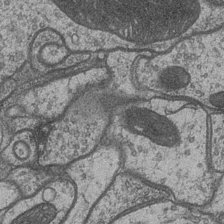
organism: Drosophila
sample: Optic medulla